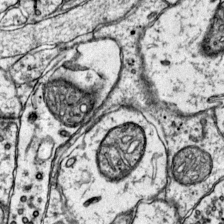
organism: Mouse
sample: Primary visual cortex